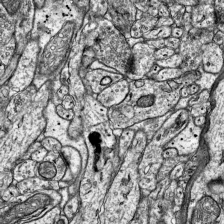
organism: Mouse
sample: Visual Cortex